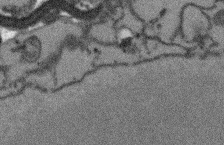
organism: Arabidopsis thaliana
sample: Root tip